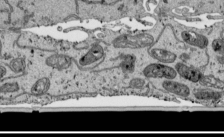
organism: Human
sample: Mitochondria in HCT116 cells